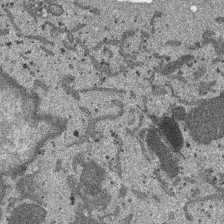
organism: Human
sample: Lung epithelial cells infected with SARS-CoV-2